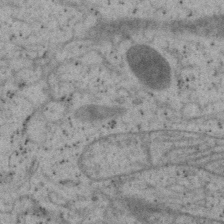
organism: Human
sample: HeLa cells